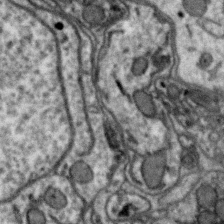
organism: Zebra finch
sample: Brain